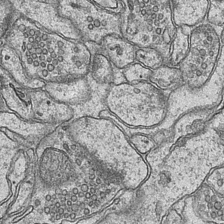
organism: Mouse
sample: CA1 Hippocampus